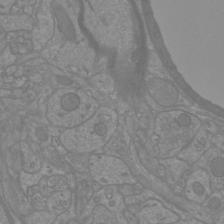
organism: Mouse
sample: Cortical neurons